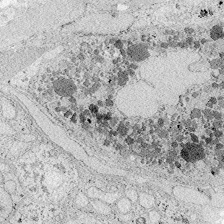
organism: Zebrafish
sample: Whole-Brain